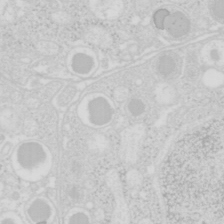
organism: Mouse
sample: Pancreas